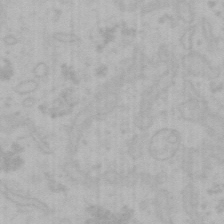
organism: Mouse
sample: Choroid plexus